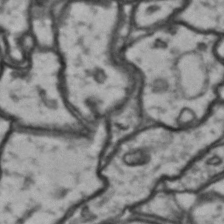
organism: Drosophila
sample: Brain